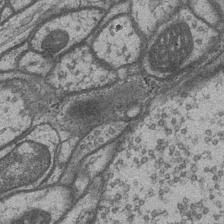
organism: Drosophila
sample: Optic medulla